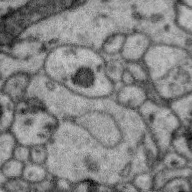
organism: Zebra finch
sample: Brain